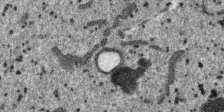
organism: Human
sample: Lung epithelial cells infected with SARS-CoV-2